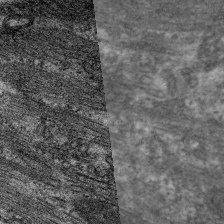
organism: C. elegans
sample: Pharynx